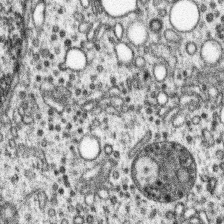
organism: Human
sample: HeLa cells